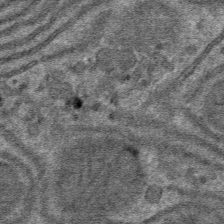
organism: Mouse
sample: Mouse hepatocytes